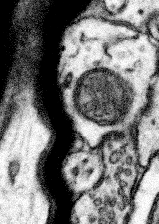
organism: Mouse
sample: Somatosensory cortex neuropil